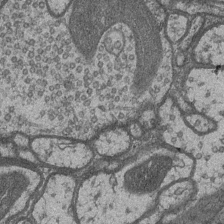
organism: Drosophila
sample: Optic medulla